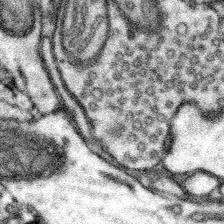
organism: Mouse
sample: Somatosensory cortex neuropil